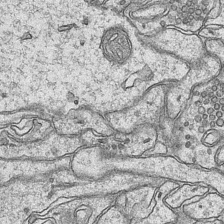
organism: Mouse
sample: CA1 Hippocampus